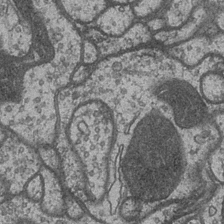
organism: Drosophila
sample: Optic medulla